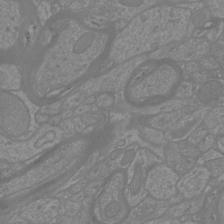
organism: Mouse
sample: Cortical neurons